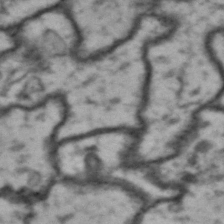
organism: Drosophila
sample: Brain